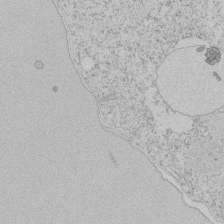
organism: Tetrahymena